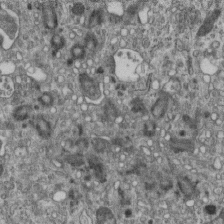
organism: Mouse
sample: Centriole in ependymal cells